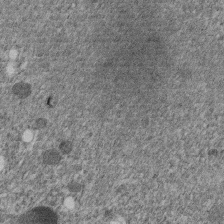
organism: C. elegans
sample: C. elegans embryo early stage